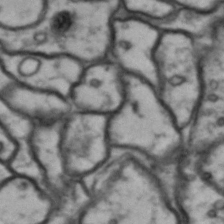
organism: Drosophila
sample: Brain